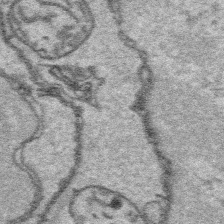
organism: Platynereis dumerilii